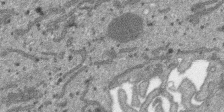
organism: Human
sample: Lung epithelial cells infected with SARS-CoV-2